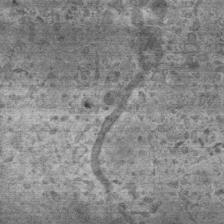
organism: Mouse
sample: Centriole in ependymal cells